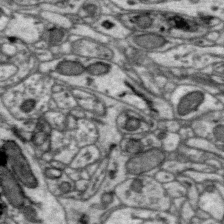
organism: Zebra finch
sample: Brain